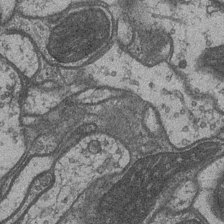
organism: Drosophila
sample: Optic medulla